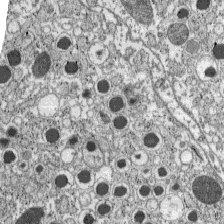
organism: C57BL Mouse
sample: Pancreatic islet